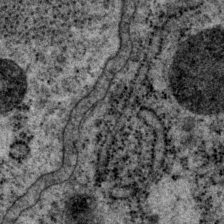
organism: P. pacificus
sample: Pharynx